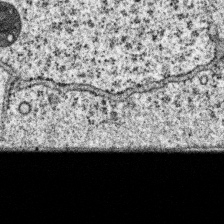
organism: Human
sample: HeLa cells